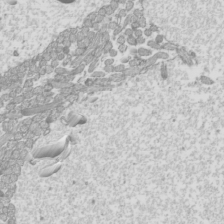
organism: Mouse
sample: Cilia; mouse epididymis